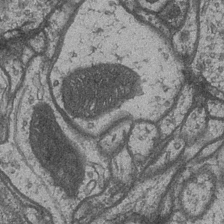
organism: Drosophila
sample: Optic medulla